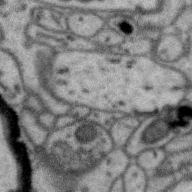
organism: Zebra finch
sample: Brain